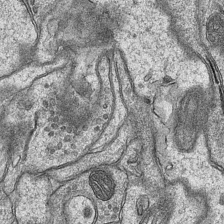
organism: Mouse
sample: CA1 Hippocampus